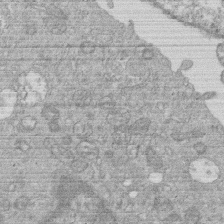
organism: Human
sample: Macrophage cells